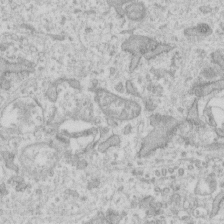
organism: Human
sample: Fibroblast cells